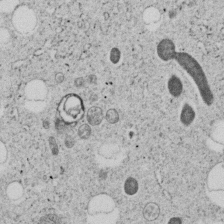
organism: C. elegans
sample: C. elegans embryo early stage